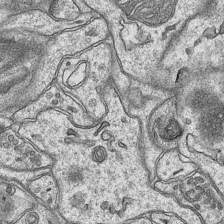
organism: Mouse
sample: CA1 Hippocampus